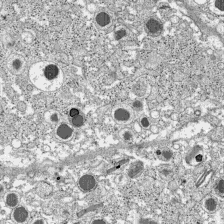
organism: C57BL Mouse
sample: Pancreatic islet